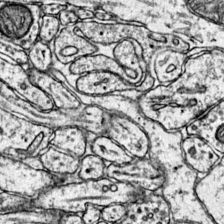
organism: Mouse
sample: Primary visual cortex